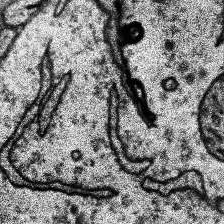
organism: Human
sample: Temporal Lobe